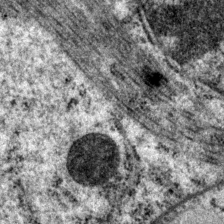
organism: P. pacificus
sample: Pharynx